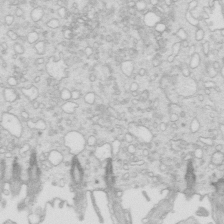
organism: Mouse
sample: Multiciliated cells